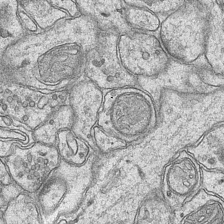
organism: Mouse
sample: CA1 Hippocampus